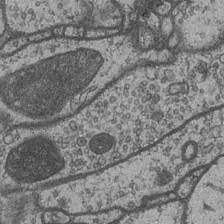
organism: Drosophila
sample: Optic medulla